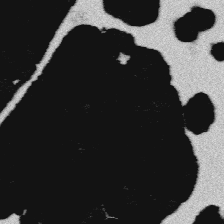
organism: Platynereis dumerilii